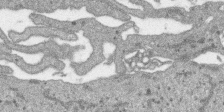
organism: Human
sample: Lung epithelial cells infected with SARS-CoV-2